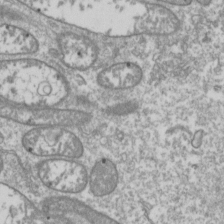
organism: Drosophila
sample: Cell division; meiosis; drosophila spermatocytes